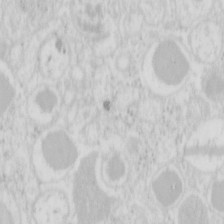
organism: Mouse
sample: Pancreas